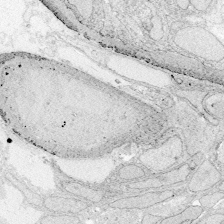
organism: Zebrafish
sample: Whole-Brain